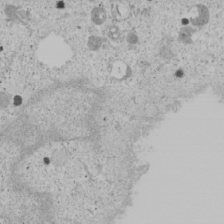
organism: Human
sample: Mitochondria in U2OS cells